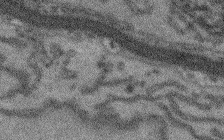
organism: Arabidopsis thaliana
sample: Root tip